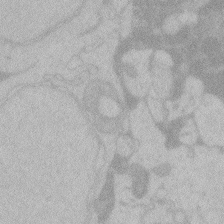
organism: Zebrafish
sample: Macrophage infected with Toxoplasma gondii